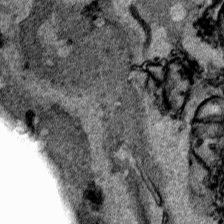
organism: Human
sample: Mitochondria in HCT116 cells